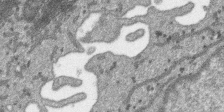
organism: Human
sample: Lung epithelial cells infected with SARS-CoV-2